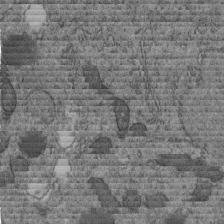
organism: C. elegans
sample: C. elegans embryo early stage